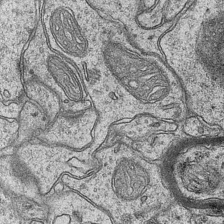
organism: Mouse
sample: CA1 Hippocampus